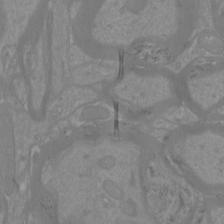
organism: Mouse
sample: Cortical neurons